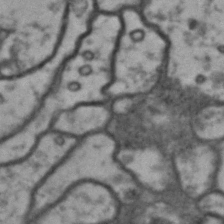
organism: Drosophila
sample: Brain